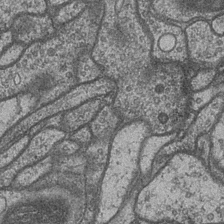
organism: Drosophila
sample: Optic medulla